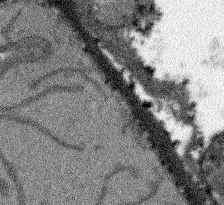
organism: Arabidopsis thaliana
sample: Root tip